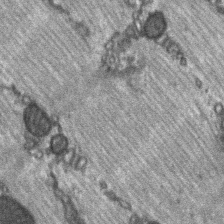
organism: C57BL Mouse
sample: Soleus